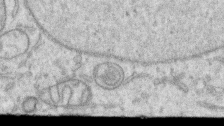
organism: Human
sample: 1205lu cells